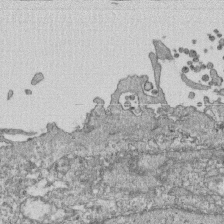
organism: Human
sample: HeLa cell HIV synapse